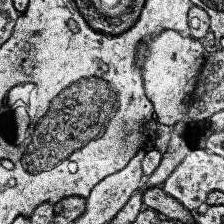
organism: Human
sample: Temporal Lobe